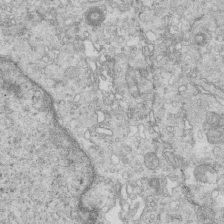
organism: Mouse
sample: Multiciliated cells